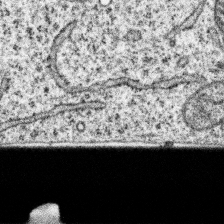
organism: Human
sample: HeLa cells